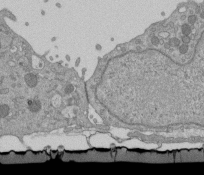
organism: Mouse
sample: ED-1 cell nuclei; centrioles